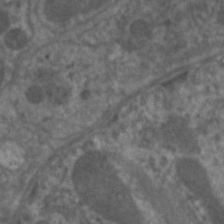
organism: C. elegans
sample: Pharynx